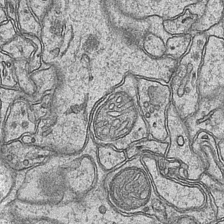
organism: Mouse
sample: CA1 Hippocampus